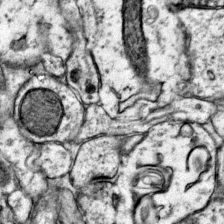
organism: Mouse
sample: Primary visual cortex